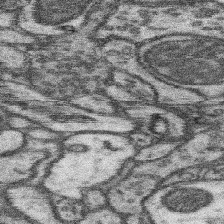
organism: Mouse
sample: Somatosensory cortex neuropil